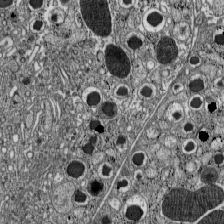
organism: C57BL Mouse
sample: Pancreatic islet